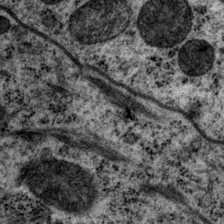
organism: P. pacificus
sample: Pharynx